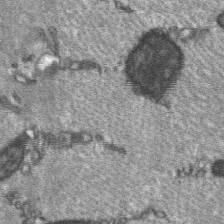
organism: C57BL Mouse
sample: Soleus